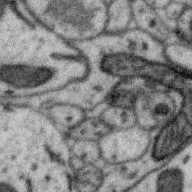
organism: Zebra finch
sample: Brain